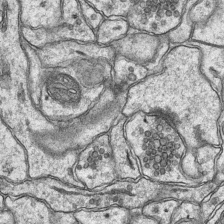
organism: Mouse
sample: CA1 Hippocampus